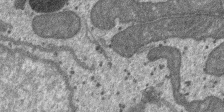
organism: Human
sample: Lung epithelial cells infected with SARS-CoV-2